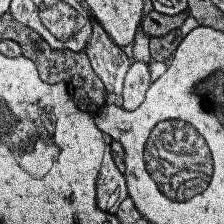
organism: Human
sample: Temporal Lobe